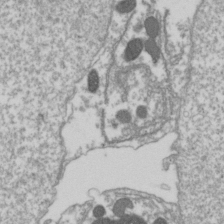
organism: Drosophila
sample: Cell division; meiosis; drosophila spermatocytes